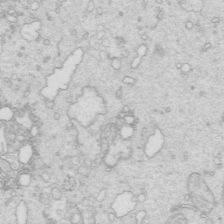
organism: Mouse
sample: Multiciliated cells